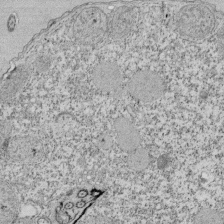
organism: Tetrahymena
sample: Cilia in tetrahymena